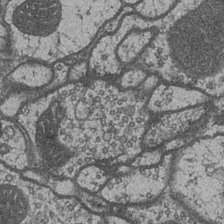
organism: Drosophila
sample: Optic medulla